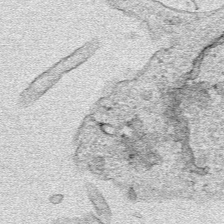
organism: Human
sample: Mitochondria in HCT116 cells